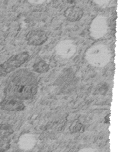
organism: C. elegans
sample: C. elegans embryo early stage